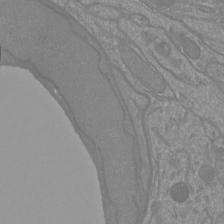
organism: Mouse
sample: Cortical neurons